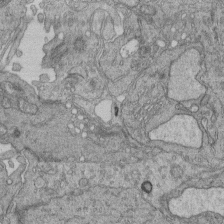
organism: Human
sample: Retinal organoid Rod and Cone cells